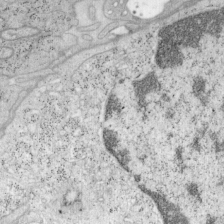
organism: Mouse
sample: OT-I killer T cells with ID8 ovarian cancer cells